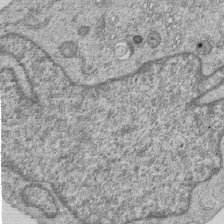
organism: Human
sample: MDA-MB-231 cells